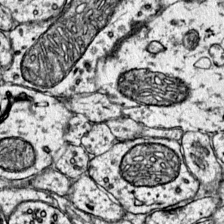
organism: Mouse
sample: Primary visual cortex